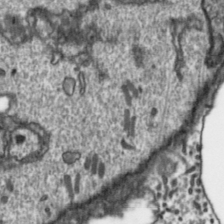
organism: Toxoplasma gondii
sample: Parasites in a vacuole inside a host cell